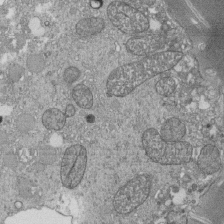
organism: Tetrahymena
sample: Cilia in tetrahymena